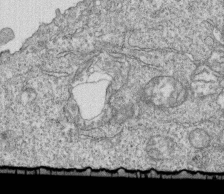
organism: Human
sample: HeLa cell HIV synapse